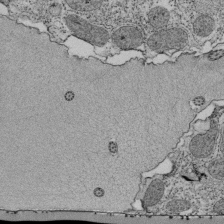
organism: Tetrahymena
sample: Cilia in tetrahymena